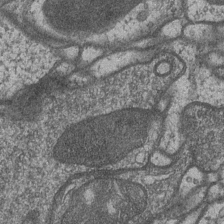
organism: Drosophila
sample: Optic medulla